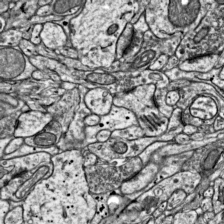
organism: Mouse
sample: Visual Cortex